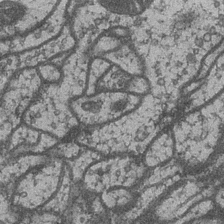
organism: Drosophila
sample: Optic medulla